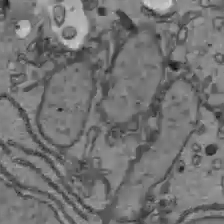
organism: C57BL Mouse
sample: Liver